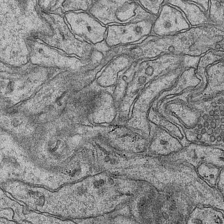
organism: Mouse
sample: CA1 Hippocampus